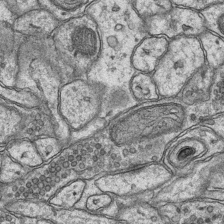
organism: Mouse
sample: CA1 Hippocampus